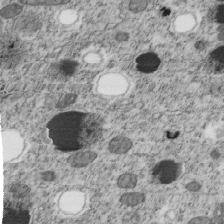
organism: C. elegans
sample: C. elegans embryo early stage